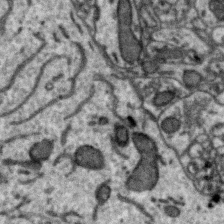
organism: Zebra finch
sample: Brain